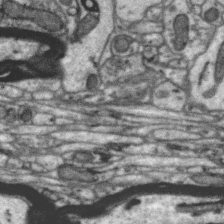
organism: Zebra finch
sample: Brain